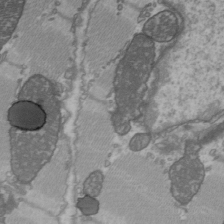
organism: C57BL Mouse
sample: Heart